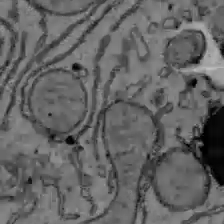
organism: C57BL Mouse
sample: Liver